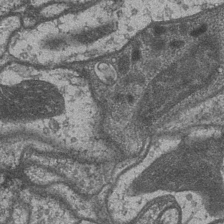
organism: Drosophila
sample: Optic medulla